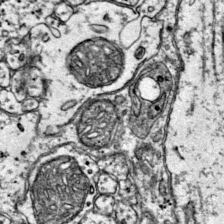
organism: Mouse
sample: Primary visual cortex